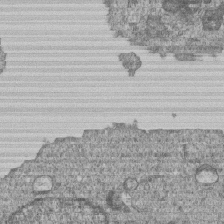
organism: Human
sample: MDA-MB-231 cells